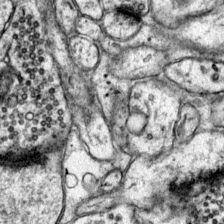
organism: Mouse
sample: Primary visual cortex